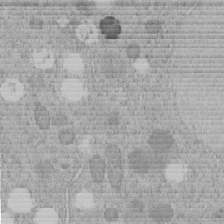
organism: C. elegans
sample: C. elegans embryo early stage